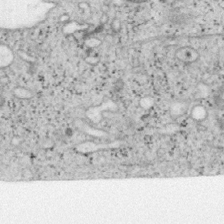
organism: Mouse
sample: OT-I killer T cells with ID8 ovarian cancer cells